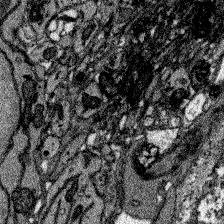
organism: Zebrafish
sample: Larval olfactory bulb